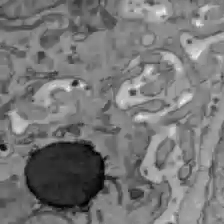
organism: C57BL Mouse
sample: Liver